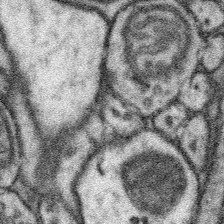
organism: Mouse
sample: Somatosensory cortex neuropil